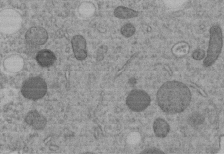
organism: C. elegans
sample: C. elegans embryo early stage